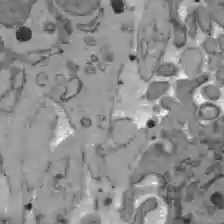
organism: C57BL Mouse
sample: Liver